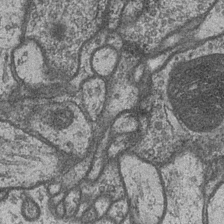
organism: Drosophila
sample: Optic medulla